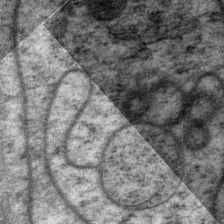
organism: P. pacificus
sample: Pharynx